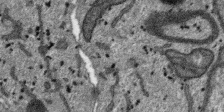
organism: Human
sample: Lung epithelial cells, uninfected (mock) control